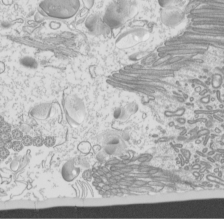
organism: Mouse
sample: Cilia; mouse epididymis